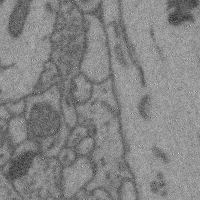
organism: Mouse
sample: Cerebral cortex